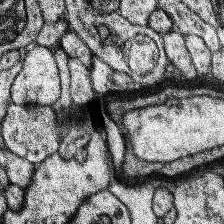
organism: Human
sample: Temporal Lobe